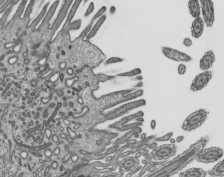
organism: Mouse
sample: Mouse epididymis efferent ductule cilia